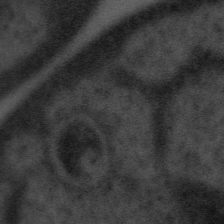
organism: Tuwongella immobilis